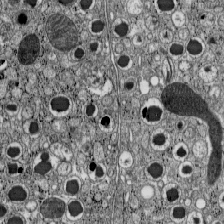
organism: C57BL Mouse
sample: Pancreatic islet